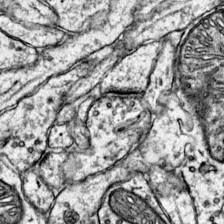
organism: Mouse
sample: Primary visual cortex